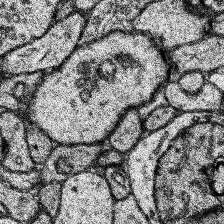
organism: Human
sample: Temporal Lobe